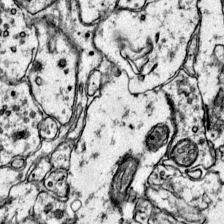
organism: Mouse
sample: Primary visual cortex